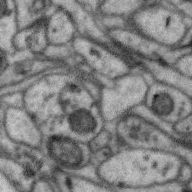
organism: Zebra finch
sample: Brain